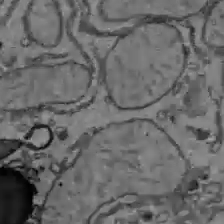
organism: C57BL Mouse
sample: Liver